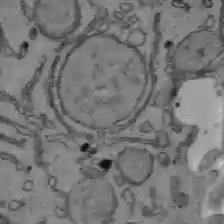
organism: C57BL Mouse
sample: Liver